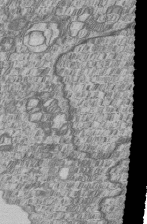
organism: Human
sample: MDA-MB-231 cells